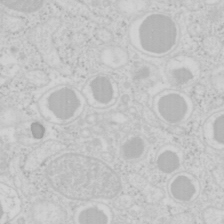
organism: Mouse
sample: Pancreas